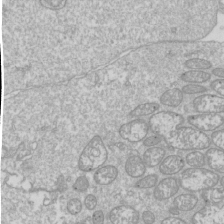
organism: Drosophila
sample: Cell division; meiosis; drosophila spermatocytes